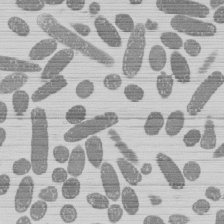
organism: E. coli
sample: Bacterial nucleoid